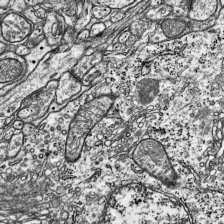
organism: Mouse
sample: Visual Cortex